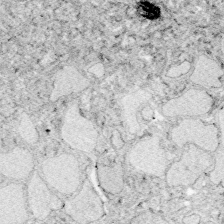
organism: Zebrafish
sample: Whole-Brain